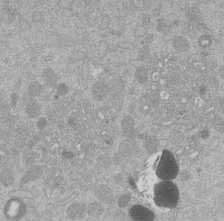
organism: Mouse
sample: Dividing mouse embryo 1 cell stage